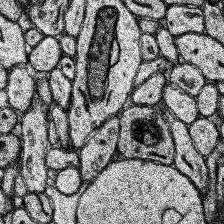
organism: Human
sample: Temporal Lobe